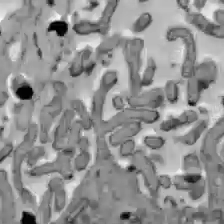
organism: C57BL Mouse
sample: Liver